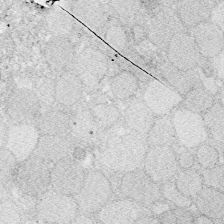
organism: Zebrafish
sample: Whole-Brain